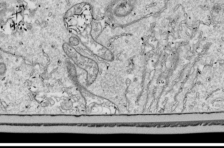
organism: Drosophila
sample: Cell division; meiosis; drosophila spermatocytes